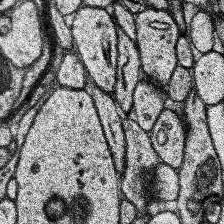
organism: Human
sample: Temporal Lobe